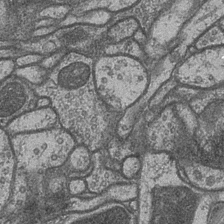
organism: Drosophila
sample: Optic medulla